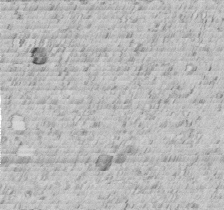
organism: C. elegans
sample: C. elegans embryo early stage